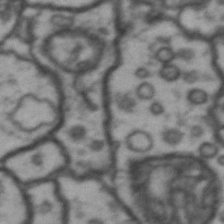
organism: Drosophila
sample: Brain